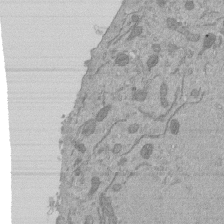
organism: Mouse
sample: ED-1 cell nuclei; centrioles